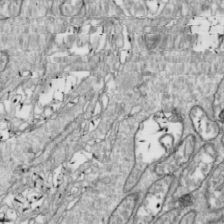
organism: Drosophila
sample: Cell division; meiosis; drosophila spermatocytes